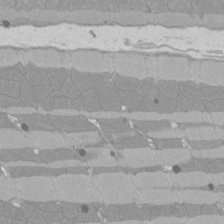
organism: Rat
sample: Left ventricle